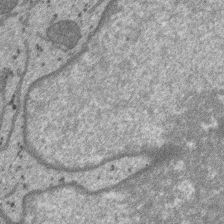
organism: Human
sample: Lung epithelial cells infected with SARS-CoV-2